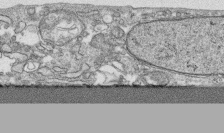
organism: Human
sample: CRL-1474